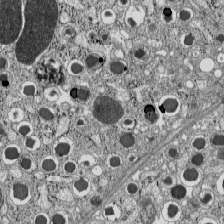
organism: C57BL Mouse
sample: Pancreatic islet